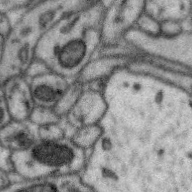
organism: Zebra finch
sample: Brain